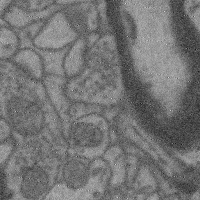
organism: Mouse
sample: Cerebral cortex